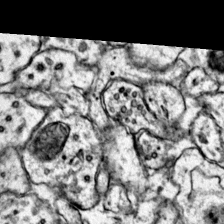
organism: Mouse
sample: Primary visual cortex